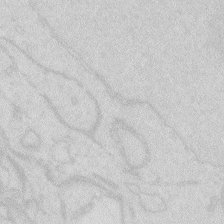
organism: Zebrafish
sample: Macrophage